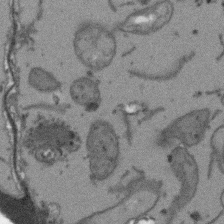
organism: Arabidopsis thaliana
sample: Root tip